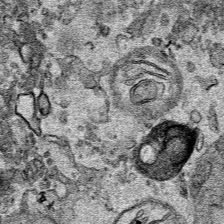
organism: Human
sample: Mitochondria in HCT116 cells